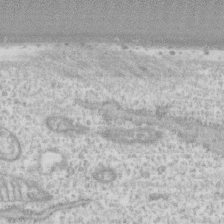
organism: Human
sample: CRL-1474